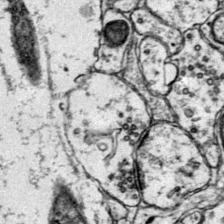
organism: Mouse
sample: Primary visual cortex